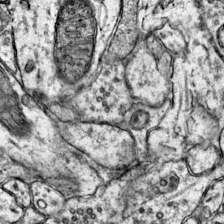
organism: Mouse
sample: Primary visual cortex